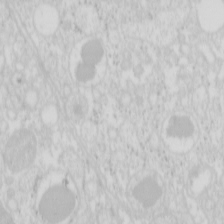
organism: Mouse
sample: Pancreas